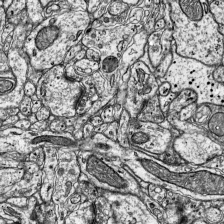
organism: Mouse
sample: Visual Cortex